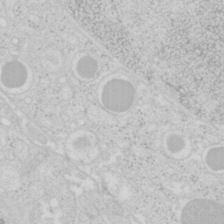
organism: Mouse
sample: Pancreas